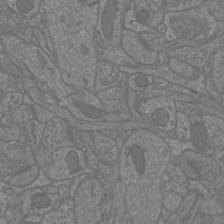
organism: Mouse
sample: Cortical neurons